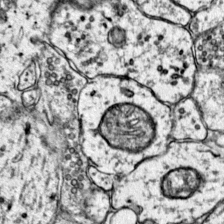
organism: Mouse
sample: Primary visual cortex